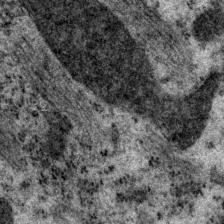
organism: P. pacificus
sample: Pharynx